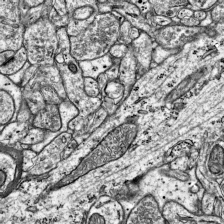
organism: Mouse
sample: Visual Cortex